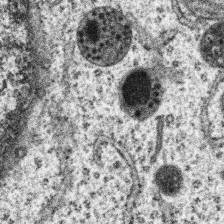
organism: Human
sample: HeLa cells